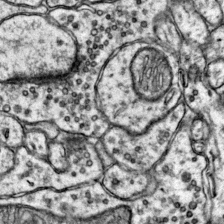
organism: Mouse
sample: Primary visual cortex